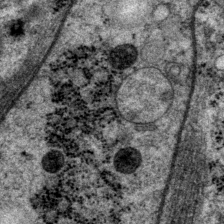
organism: P. pacificus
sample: Pharynx